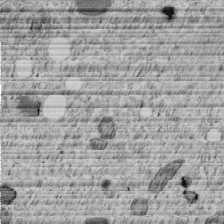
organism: C. elegans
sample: C. elegans embryo early stage